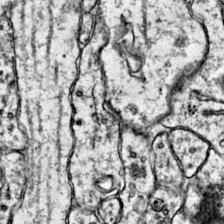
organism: Mouse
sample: Primary visual cortex